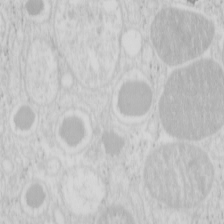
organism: Mouse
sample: Pancreas